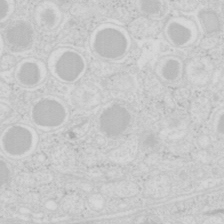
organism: Mouse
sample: Pancreas